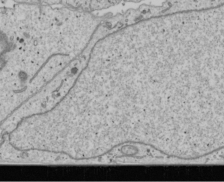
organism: Human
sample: Mitochondria in U2OS cells